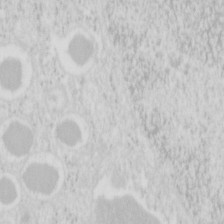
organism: Mouse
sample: Pancreas